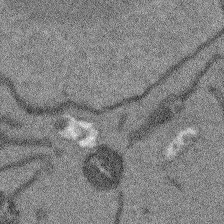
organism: Arabidopsis thaliana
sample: Root tip